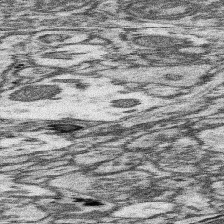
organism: Mouse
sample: Somatosensory cortex neuropil